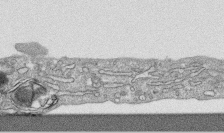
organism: Human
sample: CRL-1474